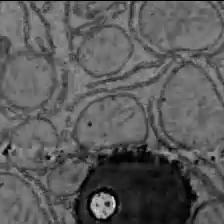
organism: C57BL Mouse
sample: Liver